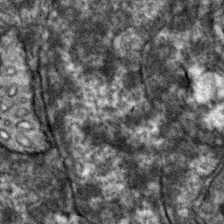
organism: Zebrafish